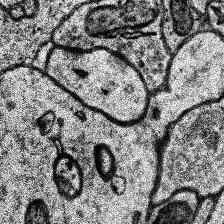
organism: Human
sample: Temporal Lobe